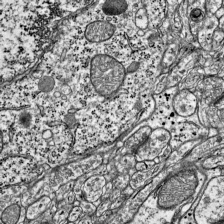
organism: Mouse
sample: Visual Cortex